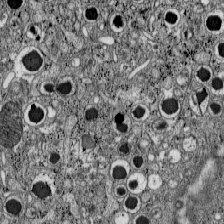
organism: C57BL Mouse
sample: Pancreatic islet